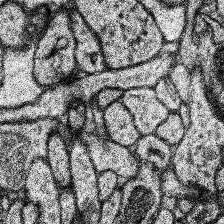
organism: Human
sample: Temporal Lobe